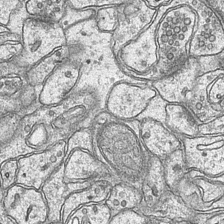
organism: Mouse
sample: CA1 Hippocampus